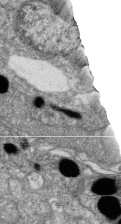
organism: Zebrafish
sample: Cilia; retinal pigment epithelium